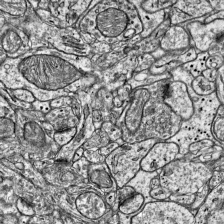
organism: Mouse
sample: Visual Cortex